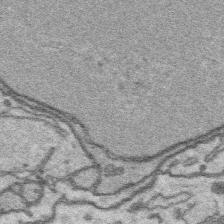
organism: Platynereis dumerilii